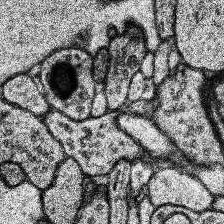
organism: Human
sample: Temporal Lobe